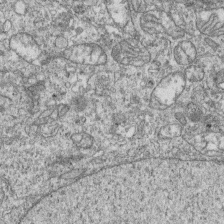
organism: Human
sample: HeLa cell HIV synapse